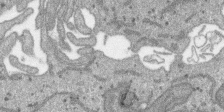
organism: Human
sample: Lung epithelial cells infected with SARS-CoV-2